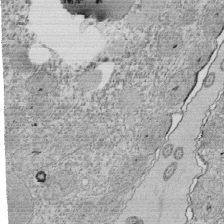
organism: Tetrahymena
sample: Cilia in tetrahymena